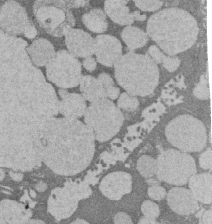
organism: Rat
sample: Salivary granule